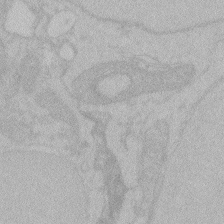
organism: Zebrafish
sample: Macrophage infected with Toxoplasma gondii